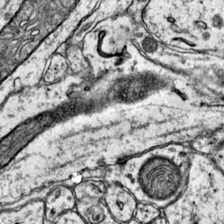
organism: Mouse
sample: Primary visual cortex